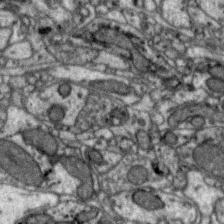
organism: Zebra finch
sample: Brain